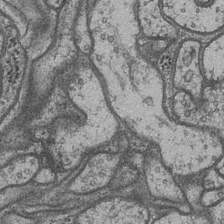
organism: Drosophila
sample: Optic medulla